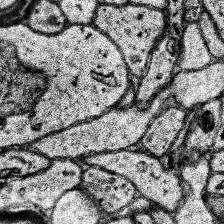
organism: Human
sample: Temporal Lobe